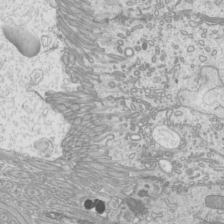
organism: Mouse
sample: Cilia; mouse epididymis